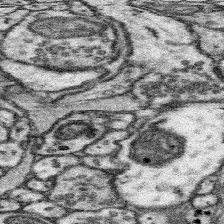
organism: Mouse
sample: Somatosensory cortex neuropil